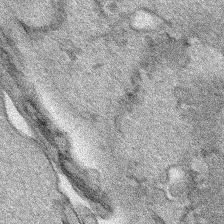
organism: Human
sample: Mitochondria in HCT116 cells